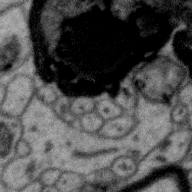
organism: Zebra finch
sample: Brain